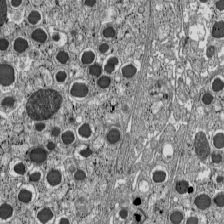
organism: C57BL Mouse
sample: Pancreatic islet